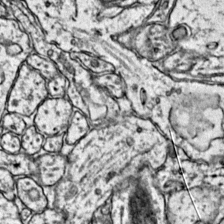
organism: Mouse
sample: Primary visual cortex